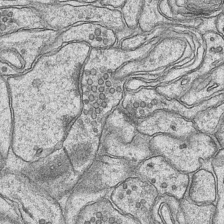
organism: Mouse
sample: CA1 Hippocampus